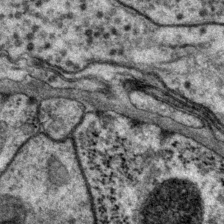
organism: P. pacificus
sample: Pharynx